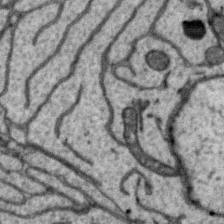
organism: Zebra finch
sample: Brain